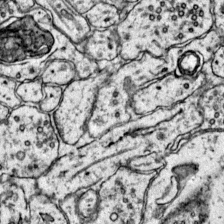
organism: Mouse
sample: Primary visual cortex